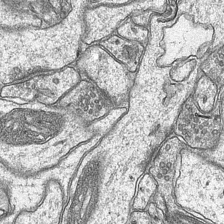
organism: Mouse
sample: CA1 Hippocampus